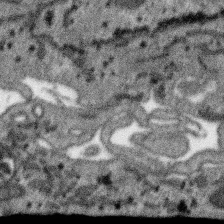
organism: Human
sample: Lung epithelial cells infected with SARS-CoV-2